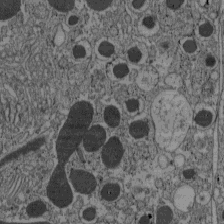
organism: C57BL Mouse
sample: Pancreatic islet